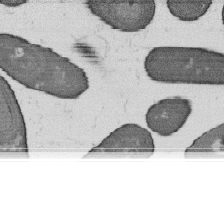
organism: B. subtilis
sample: Bacterial spore